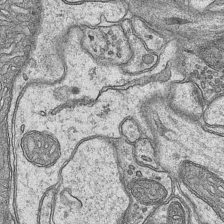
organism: Mouse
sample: CA1 Hippocampus